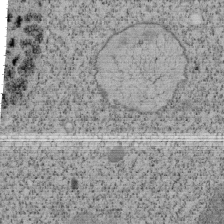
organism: Tetrahymena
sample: Cilia in tetrahymena